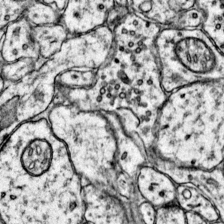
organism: Mouse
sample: Primary visual cortex